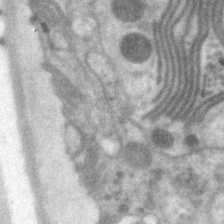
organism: C. elegans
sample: Pharynx